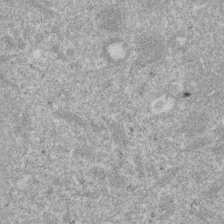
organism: Mouse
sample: Dividing mouse embryo 1 cell stage